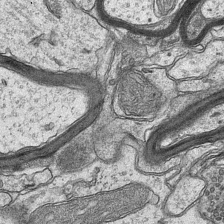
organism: Mouse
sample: CA1 Hippocampus